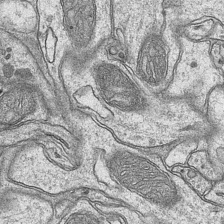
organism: Mouse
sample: CA1 Hippocampus